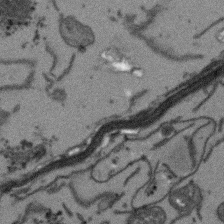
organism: Arabidopsis thaliana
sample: Root tip